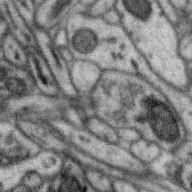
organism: Zebra finch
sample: Brain